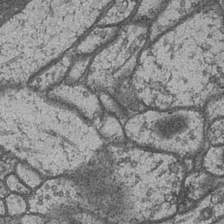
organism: Drosophila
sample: Optic medulla